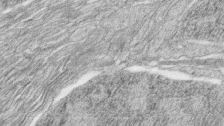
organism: Zebrafish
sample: synaptic ribbons in rod cells and cone cells